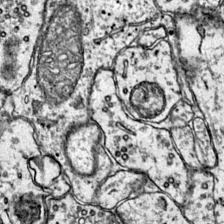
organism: Mouse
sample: Primary visual cortex